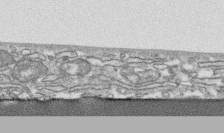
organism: Human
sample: CRL-1474